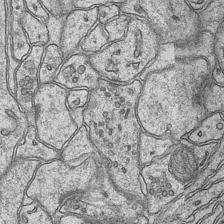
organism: Mouse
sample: CA1 Hippocampus